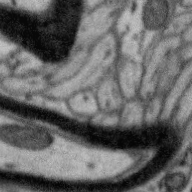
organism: Zebra finch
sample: Brain